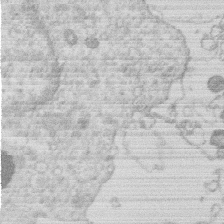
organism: Human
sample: Macrophage cells